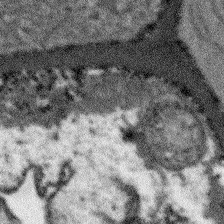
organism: Arabidopsis thaliana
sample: Root tip